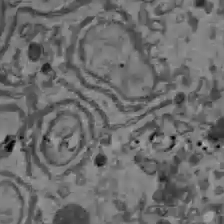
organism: C57BL Mouse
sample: Liver